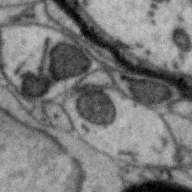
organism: Zebra finch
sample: Brain